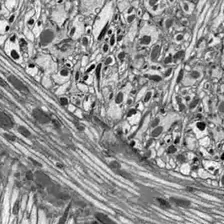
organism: Drosophila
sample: Optic lobe